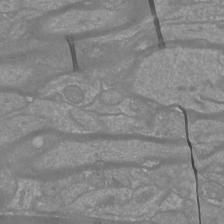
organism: Mouse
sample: Cortical neurons